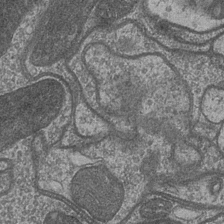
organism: Drosophila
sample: Optic medulla